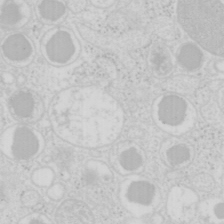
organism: Mouse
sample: Pancreas